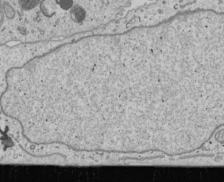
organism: Human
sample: Mitochondria in U2OS cells